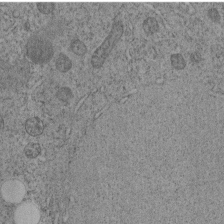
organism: C. elegans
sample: C. elegans embryo early stage